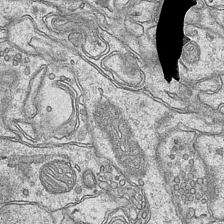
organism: Mouse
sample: CA1 Hippocampus